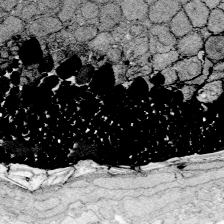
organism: Zebrafish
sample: Whole-Brain